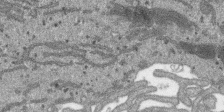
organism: Human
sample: Lung epithelial cells infected with SARS-CoV-2